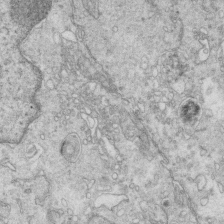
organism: Mouse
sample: Multiciliated cells